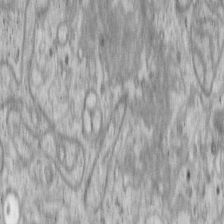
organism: Human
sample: HeLa cells